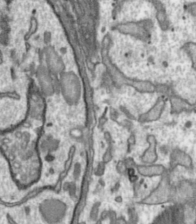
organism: Toxoplasma gondii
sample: Parasites in a vacuole inside a host cell